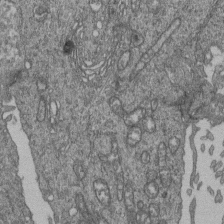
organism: Human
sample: Retinal organoid Rod and Cone cells